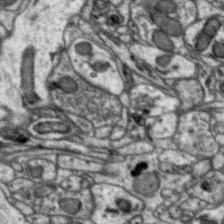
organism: Zebra finch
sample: Brain